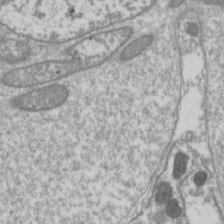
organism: Drosophila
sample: Cell division; meiosis; drosophila spermatocytes